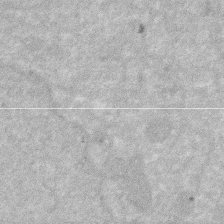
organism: Human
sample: HIV infected U937 cells